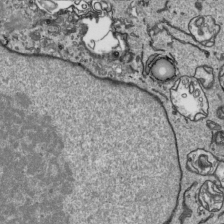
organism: Human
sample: Mitochondria in HCT116 cells